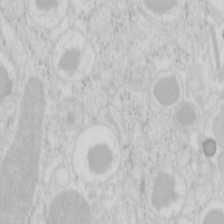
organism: Mouse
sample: Pancreas